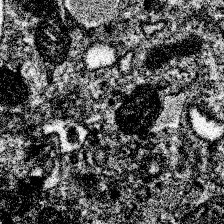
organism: Spongilla lacustris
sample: Neuroid cell